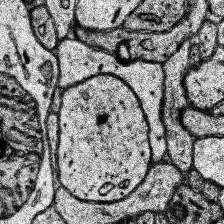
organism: Human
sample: Temporal Lobe